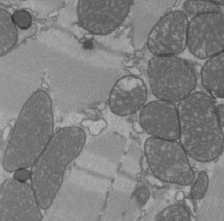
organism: C57BL Mouse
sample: Heart